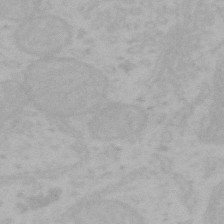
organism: Mouse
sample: Choroid plexus